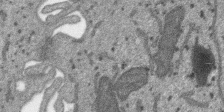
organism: Human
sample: Lung epithelial cells infected with SARS-CoV-2